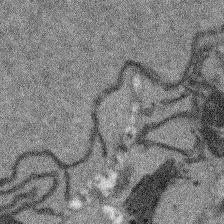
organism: Arabidopsis thaliana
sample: Root tip